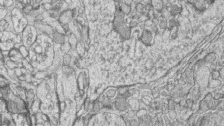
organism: Zebrafish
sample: synaptic ribbons in rod cells and cone cells